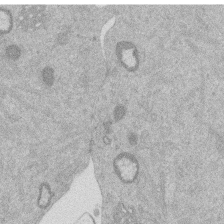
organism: Mouse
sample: Dividing mouse embryo 1 cell stage